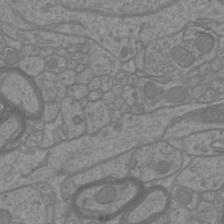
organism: Mouse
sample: Cortical neurons